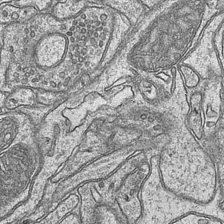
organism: Mouse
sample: CA1 Hippocampus